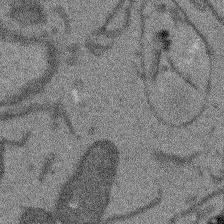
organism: Arabidopsis thaliana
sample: Root tip